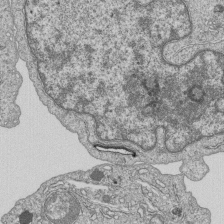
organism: Human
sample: MDA-MB-231 cells